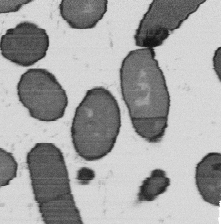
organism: B. subtilis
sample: Bacterial spore